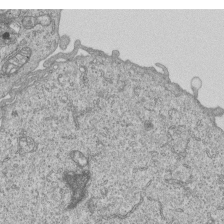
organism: Human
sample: MDA-MB-231 cells